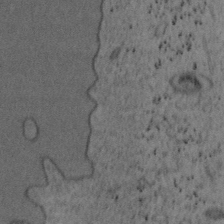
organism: Human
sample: HeLa cells